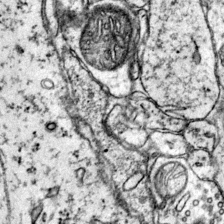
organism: Mouse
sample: Primary visual cortex